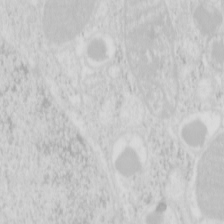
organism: Mouse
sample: Pancreas